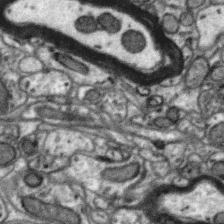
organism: Zebra finch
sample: Brain